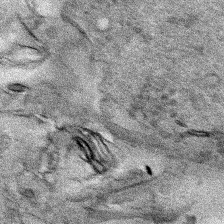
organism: Human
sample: Mitochondria in HCT116 cells